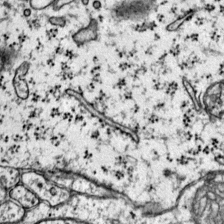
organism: Mouse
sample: Primary visual cortex